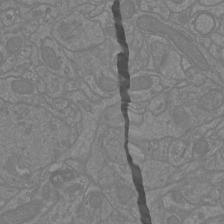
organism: Mouse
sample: Cortical neurons